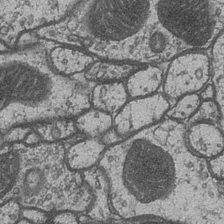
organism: Drosophila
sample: Optic medulla